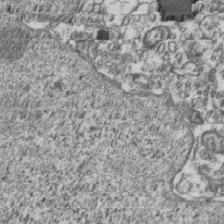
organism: Human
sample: Activated Jurkat CD4+ T cells